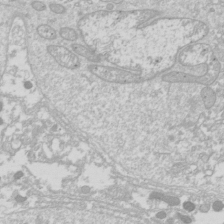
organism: Drosophila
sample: Cell division; meiosis; drosophila spermatocytes